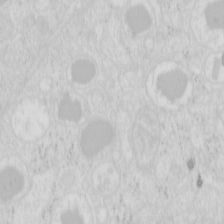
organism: Mouse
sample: Pancreas